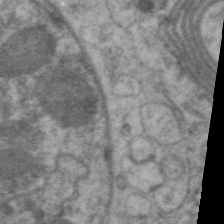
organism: C. elegans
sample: Pharynx